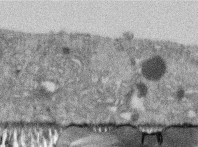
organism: Human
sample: Centriole in RPE cells